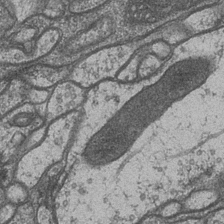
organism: Drosophila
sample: Optic medulla